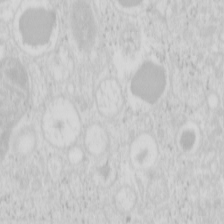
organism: Mouse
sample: Pancreas